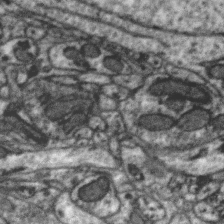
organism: Zebra finch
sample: Brain